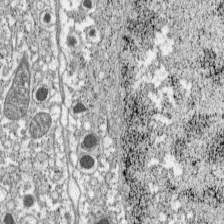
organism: C57BL Mouse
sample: Pancreatic islet